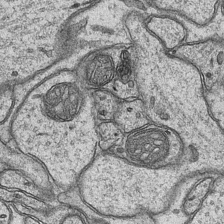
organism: Mouse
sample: CA1 Hippocampus